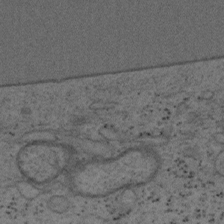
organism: Human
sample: HeLa cells